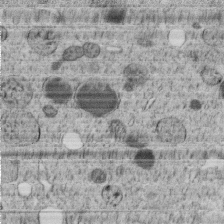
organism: C. elegans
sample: C. elegans embryo early stage